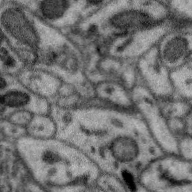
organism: Zebra finch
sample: Brain